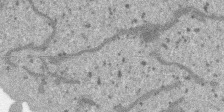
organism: Human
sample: Lung epithelial cells infected with SARS-CoV-2